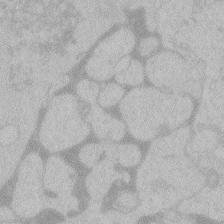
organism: Zebrafish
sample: Macrophage infected with Toxoplasma gondii